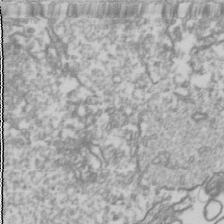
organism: Drosophila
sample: Cell division; meiosis; drosophila spermatocytes